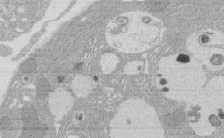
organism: Rat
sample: Salivary granule